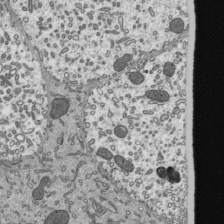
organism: Mouse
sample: Mouse epididymis efferent ductule cilia